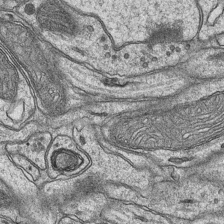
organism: Mouse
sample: CA1 Hippocampus